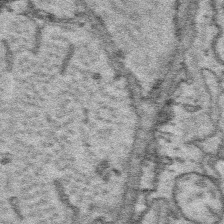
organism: Platynereis dumerilii